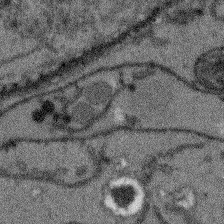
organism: Arabidopsis thaliana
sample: Root tip